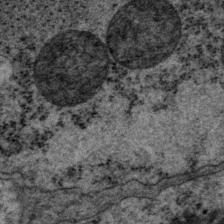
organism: P. pacificus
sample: Pharynx